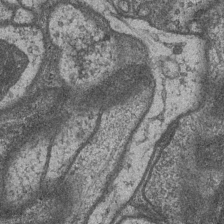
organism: Drosophila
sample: Optic medulla